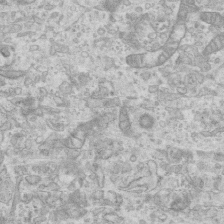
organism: Mouse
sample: Centriole in ependymal cells